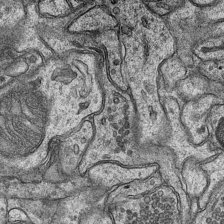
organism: Mouse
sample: CA1 Hippocampus